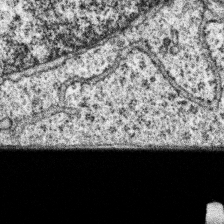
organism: Human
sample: HeLa cells